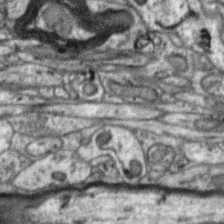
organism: Zebra finch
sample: Brain